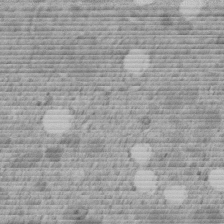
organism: C. elegans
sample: C. elegans embryo early stage